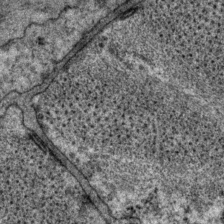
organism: P. pacificus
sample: Pharynx